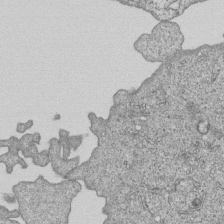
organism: Human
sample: MDA-MB-231 cells